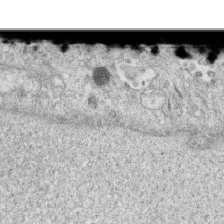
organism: Human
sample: HeLa cell HIV synapse